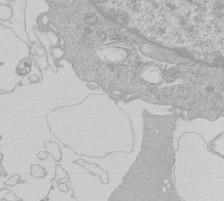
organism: Human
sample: Macrophage cells